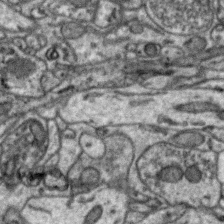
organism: Zebra finch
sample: Brain